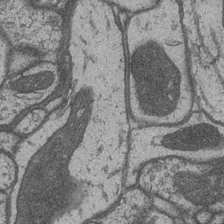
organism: Drosophila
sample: Optic medulla